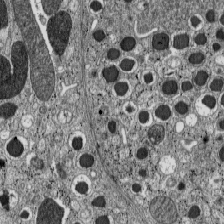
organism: C57BL Mouse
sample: Pancreatic islet